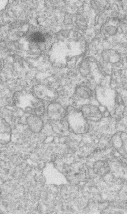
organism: Human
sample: HeLa cell HIV synapse